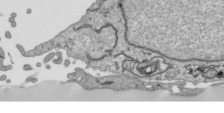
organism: Human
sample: Mitochondria in HCT116 cells